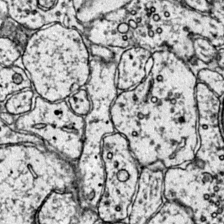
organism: Mouse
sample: Primary visual cortex